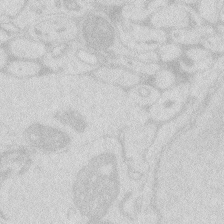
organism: Zebrafish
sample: Macrophage